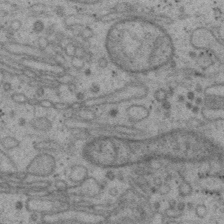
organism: Human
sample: HeLa cells